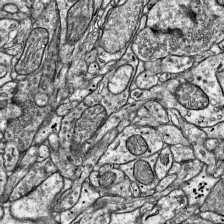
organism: Mouse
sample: Visual Cortex